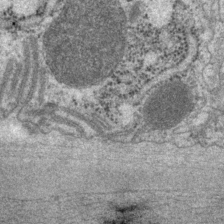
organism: P. pacificus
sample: Pharynx